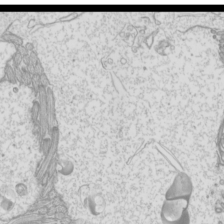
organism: Mouse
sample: Cilia; mouse epididymis